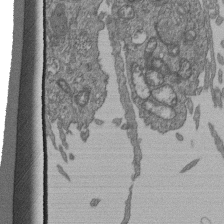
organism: Human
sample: Retinal organoid Rod and Cone cells